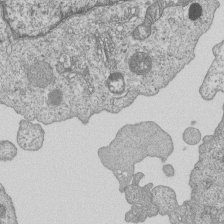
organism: Human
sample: MDA-MB-231 cells